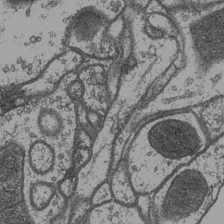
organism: Drosophila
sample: Optic medulla